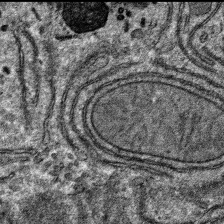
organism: Mouse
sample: Mouse hepatocytes